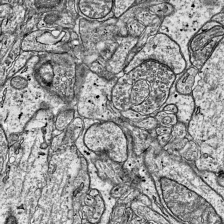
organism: Mouse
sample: Visual Cortex